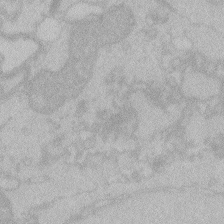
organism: Zebrafish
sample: Macrophage infected with Toxoplasma gondii